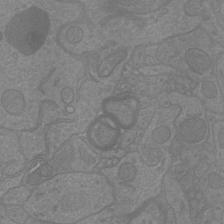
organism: Mouse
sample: Cortical neurons